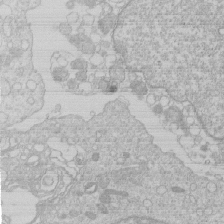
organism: Human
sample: Macrophage cells